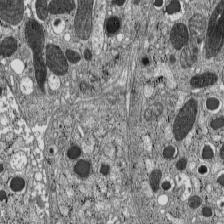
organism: C57BL Mouse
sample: Pancreatic islet